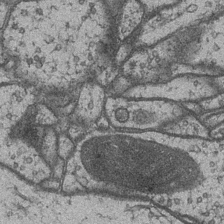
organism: Drosophila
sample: Optic medulla